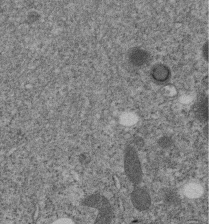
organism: C. elegans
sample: C. elegans embryo early stage